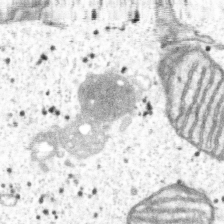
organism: Human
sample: HeLa cells